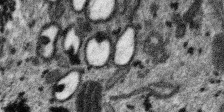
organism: Human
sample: Lung epithelial cells infected with SARS-CoV-2